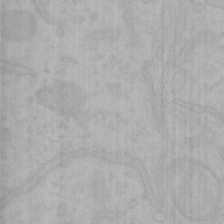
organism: Mouse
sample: Choroid plexus